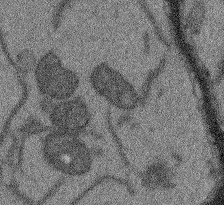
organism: Arabidopsis thaliana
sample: Root tip